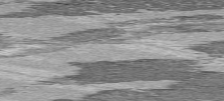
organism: C57BL Mouse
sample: Heart